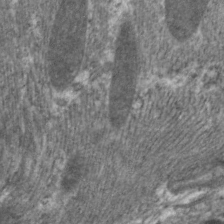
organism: C. elegans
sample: Pharynx